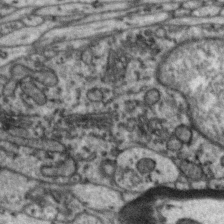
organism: Zebra finch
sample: Brain